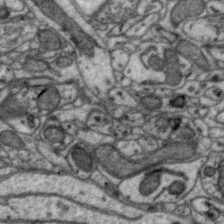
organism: Zebra finch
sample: Brain